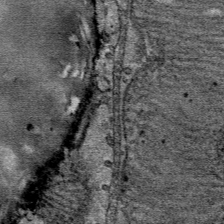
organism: Mouse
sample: Mouse Salivary gland